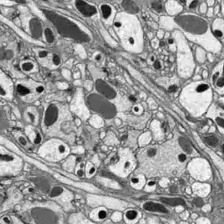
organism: Drosophila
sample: Optic lobe